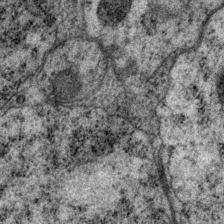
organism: P. pacificus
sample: Pharynx